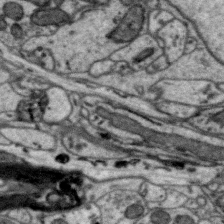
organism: Zebra finch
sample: Brain